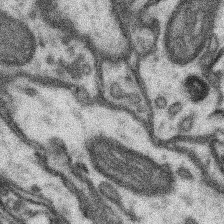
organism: Mouse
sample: Somatosensory cortex neuropil